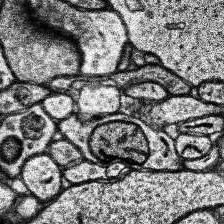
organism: Human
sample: Temporal Lobe